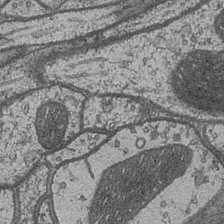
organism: Drosophila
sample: Optic medulla